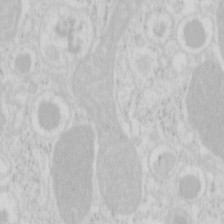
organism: Mouse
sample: Pancreas